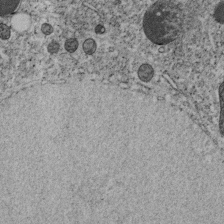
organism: C. elegans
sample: C. elegans embryo early stage